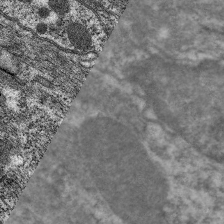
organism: C. elegans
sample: Pharynx